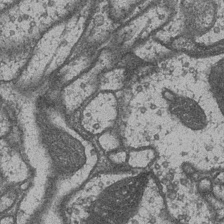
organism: Drosophila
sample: Optic medulla